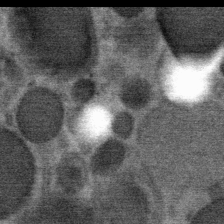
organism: Mouse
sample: Mouse Salivary gland